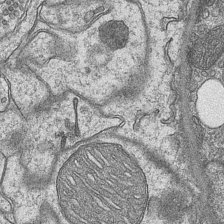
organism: Mouse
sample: CA1 Hippocampus